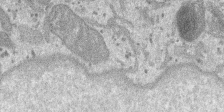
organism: Human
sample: Lung epithelial cells infected with SARS-CoV-2